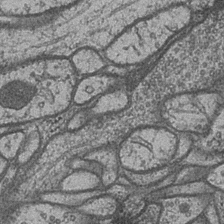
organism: Drosophila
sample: Optic medulla